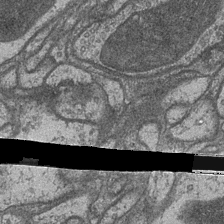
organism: Drosophila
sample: Optic medulla